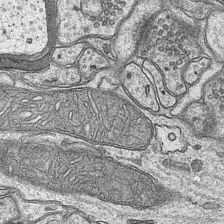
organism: Mouse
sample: CA1 Hippocampus